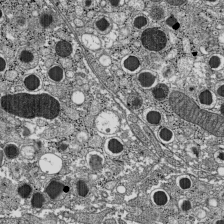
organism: C57BL Mouse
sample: Pancreatic islet